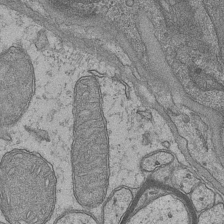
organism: Mouse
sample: CA1 Hippocampus